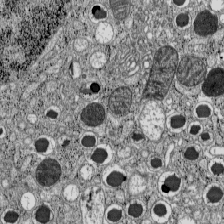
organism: C57BL Mouse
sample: Pancreatic islet